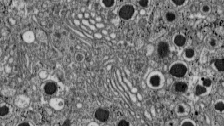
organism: C57BL Mouse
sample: Pancreatic islet